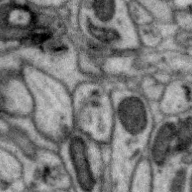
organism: Zebra finch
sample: Brain